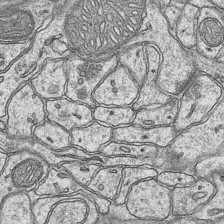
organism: Mouse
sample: CA1 Hippocampus